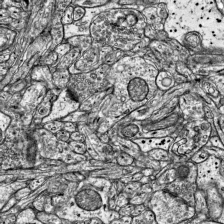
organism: Mouse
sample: Visual Cortex